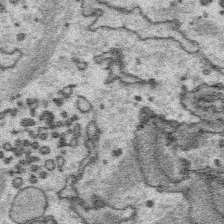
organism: Platynereis dumerilii